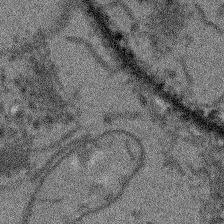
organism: Arabidopsis thaliana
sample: Root tip